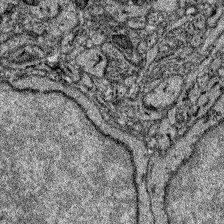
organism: Zebrafish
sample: Larval olfactory bulb